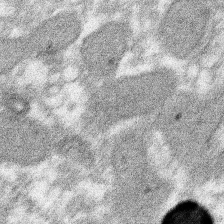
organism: Xenopus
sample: Cilia; centrioles in frog embryo cells